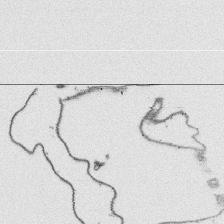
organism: Platynereis dumerilii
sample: Parapodia